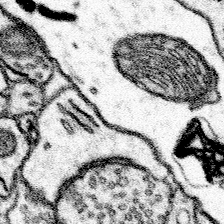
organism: Mouse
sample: Somatosensory cortex neuropil